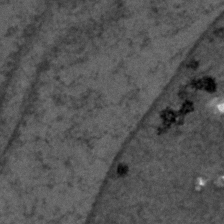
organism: C. elegans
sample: C. elegans embryo